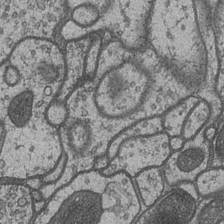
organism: Drosophila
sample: Optic medulla